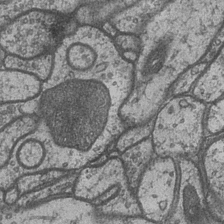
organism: Drosophila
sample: Optic medulla